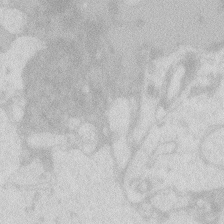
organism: Zebrafish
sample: Macrophage